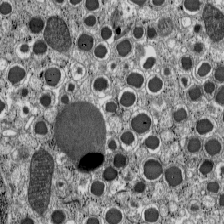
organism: C57BL Mouse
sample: Pancreatic islet